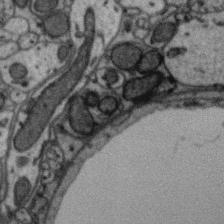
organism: Zebra finch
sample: Brain